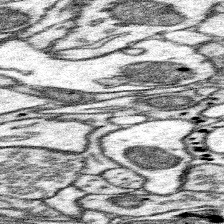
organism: Mouse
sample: Somatosensory cortex neuropil